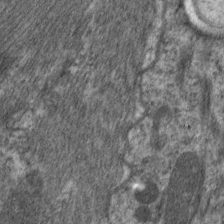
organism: C. elegans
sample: Pharynx